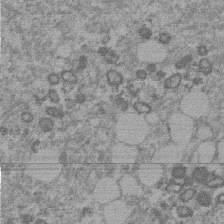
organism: Mouse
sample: Dividing mouse embryo 1 cell stage